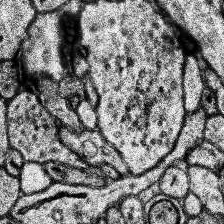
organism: Human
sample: Temporal Lobe